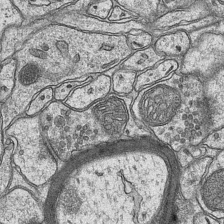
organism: Mouse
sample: CA1 Hippocampus